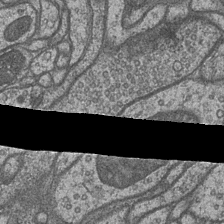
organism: Drosophila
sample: Optic medulla